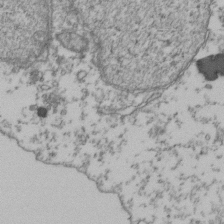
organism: Human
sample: Activated Jurkat CD4+ T cells